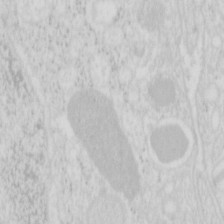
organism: Mouse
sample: Pancreas